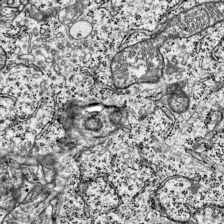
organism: Mouse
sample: Visual Cortex